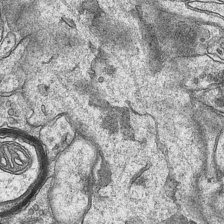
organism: Mouse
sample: CA1 Hippocampus